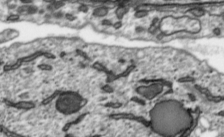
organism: Toxoplasma gondii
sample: Parasites in a vacuole inside a host cell